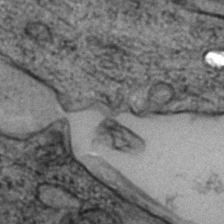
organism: Zebrafish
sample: Zebrafish embryo